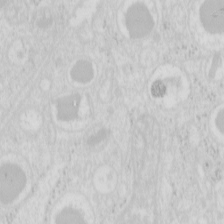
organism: Mouse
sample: Pancreas